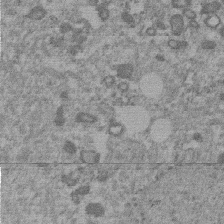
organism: Mouse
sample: Dividing mouse embryo 1 cell stage